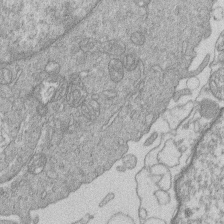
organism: Human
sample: Macrophage cells